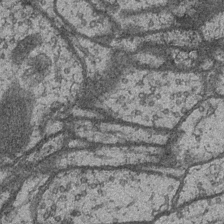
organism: Drosophila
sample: Optic medulla